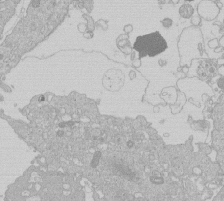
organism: Human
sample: Macrophage cells